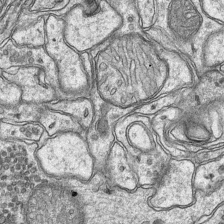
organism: Mouse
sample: CA1 Hippocampus